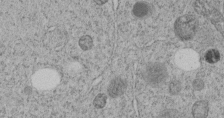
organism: C. elegans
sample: C. elegans embryo early stage